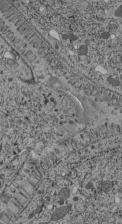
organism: C. elegans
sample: C. elegans pharynx